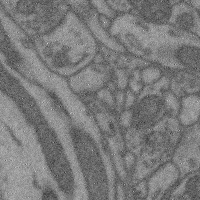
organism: Mouse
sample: Cerebral cortex